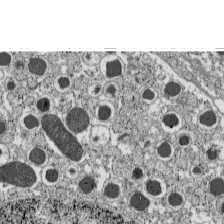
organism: C57BL Mouse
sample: Pancreatic islet